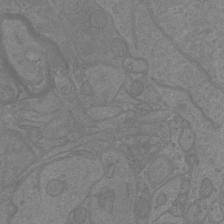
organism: Mouse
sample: Cortical neurons